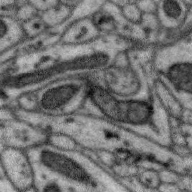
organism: Zebra finch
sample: Brain